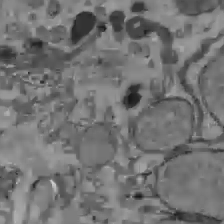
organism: C57BL Mouse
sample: Liver